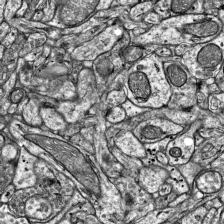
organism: Mouse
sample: Visual Cortex